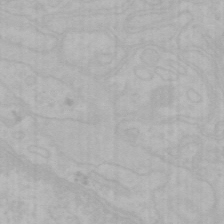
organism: Mouse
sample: Choroid plexus